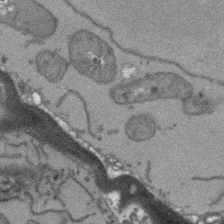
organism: Arabidopsis thaliana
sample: Root tip